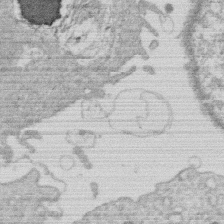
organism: Human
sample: Macrophage cells